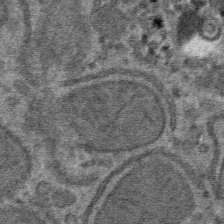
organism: Mouse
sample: Mouse hepatocytes